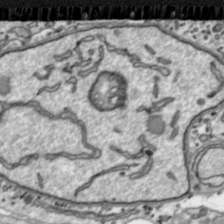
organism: Toxoplasma gondii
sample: Parasites in a vacuole inside a host cell